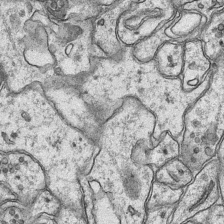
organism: Mouse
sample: CA1 Hippocampus